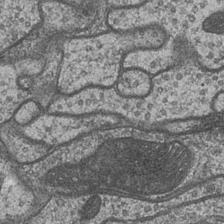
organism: Drosophila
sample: Optic medulla